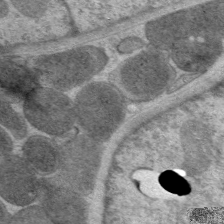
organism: C. elegans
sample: Pharynx